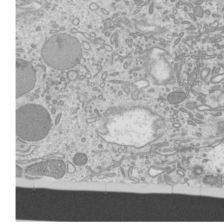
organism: Mouse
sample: Cilia; mouse epididymis